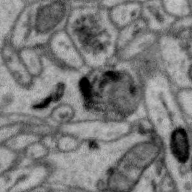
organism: Zebra finch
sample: Brain